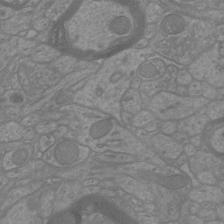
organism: Mouse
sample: Cortical neurons